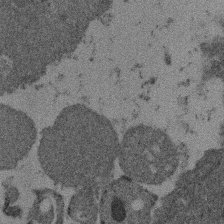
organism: Mouse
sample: Dividing mouse embryo 1 cell stage